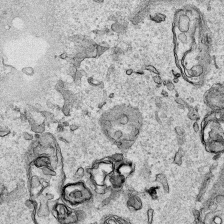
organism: Human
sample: Mitochondria in HCT116 cells